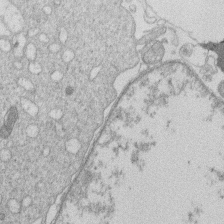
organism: Human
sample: Macrophage cells